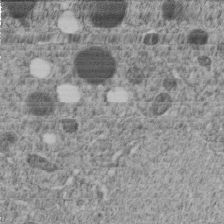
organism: C. elegans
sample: C. elegans embryo early stage